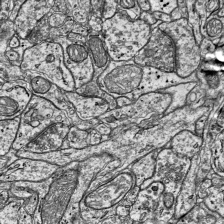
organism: Mouse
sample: Visual Cortex